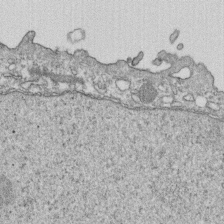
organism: Human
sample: HeLa cell HIV synapse